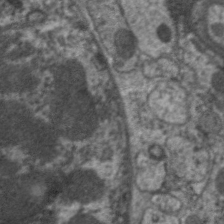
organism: C. elegans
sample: Pharynx